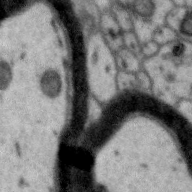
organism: Zebra finch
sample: Brain